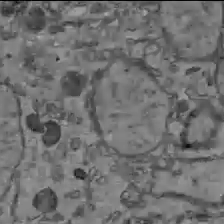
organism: C57BL Mouse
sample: Liver